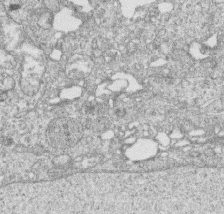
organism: Human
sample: HeLa cell HIV synapse